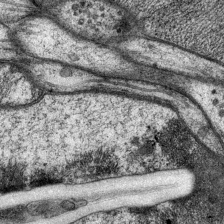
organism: P. pacificus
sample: Pharynx